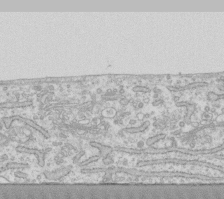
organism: Human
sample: Fibroblast cells